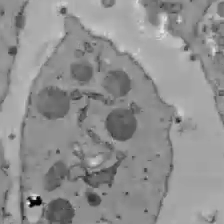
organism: C57BL Mouse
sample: Liver